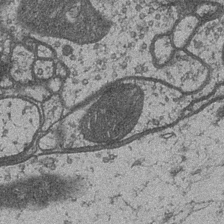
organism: Drosophila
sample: Optic medulla